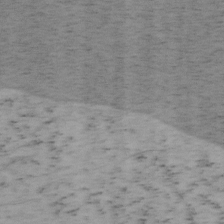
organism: Mouse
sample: OT-I killer T cells with ID8 ovarian cancer cells